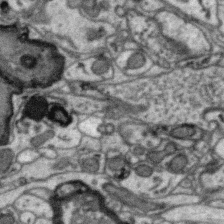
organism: Zebra finch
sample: Brain